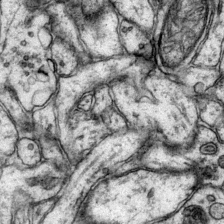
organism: Mouse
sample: Primary visual cortex